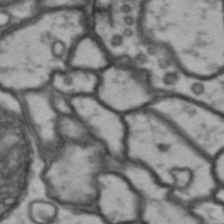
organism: Drosophila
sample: Brain